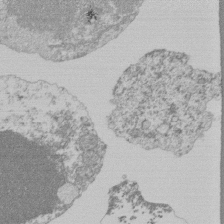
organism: Mouse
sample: Activated Pmel transgenic CD8+ T Cells